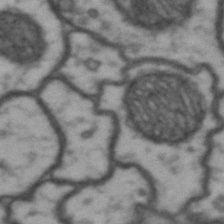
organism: Drosophila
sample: Brain